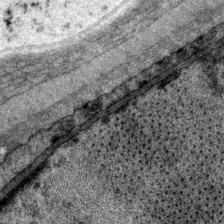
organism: P. pacificus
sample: Pharynx